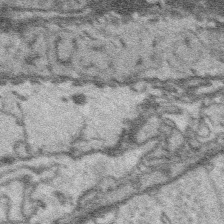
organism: Platynereis dumerilii